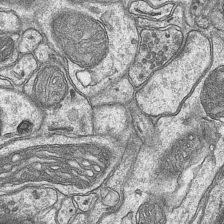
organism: Mouse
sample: CA1 Hippocampus